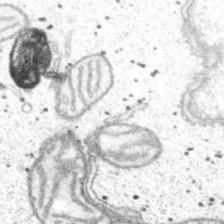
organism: Human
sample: HeLa cells